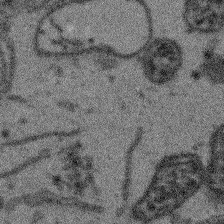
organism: Arabidopsis thaliana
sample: Root tip